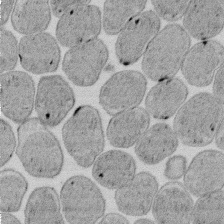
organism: E. coli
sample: Bacterial nucleoid